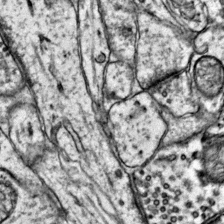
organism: Mouse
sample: Primary visual cortex